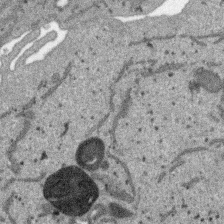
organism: Human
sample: Lung epithelial cells infected with SARS-CoV-2